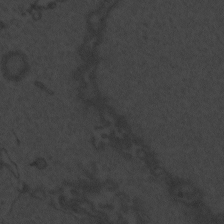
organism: Zebrafish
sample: Macrophage infected with Toxoplasma gondii